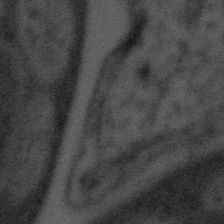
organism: Tuwongella immobilis